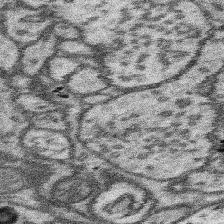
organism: Mouse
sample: Somatosensory cortex neuropil